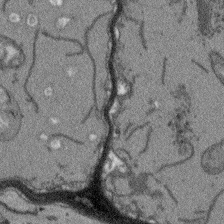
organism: Arabidopsis thaliana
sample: Root tip